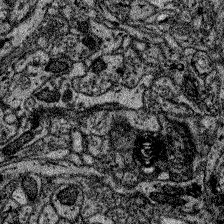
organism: Zebrafish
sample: Larval olfactory bulb